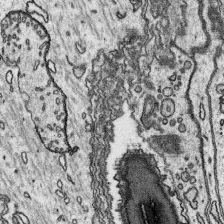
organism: Platynereis dumerilii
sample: Parapodia